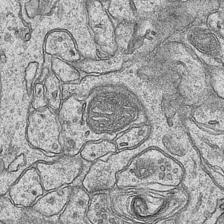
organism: Mouse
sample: CA1 Hippocampus